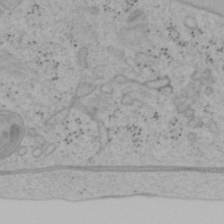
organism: Human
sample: HeLa cells